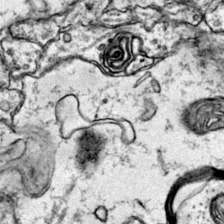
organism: Mouse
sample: Primary visual cortex